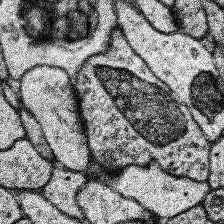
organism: Human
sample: Temporal Lobe